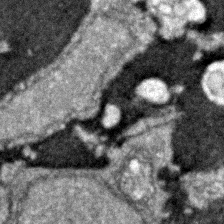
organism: Zebrafish